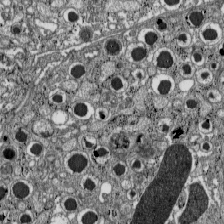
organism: C57BL Mouse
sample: Pancreatic islet